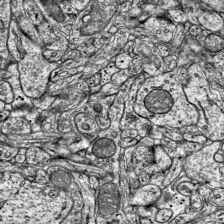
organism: Mouse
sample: Visual Cortex